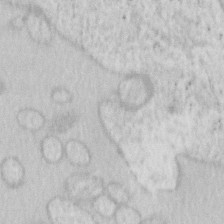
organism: Human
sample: HeLa cells